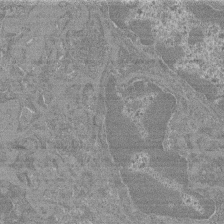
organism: Mouse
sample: Glomerulus